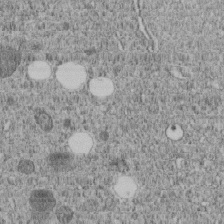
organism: C. elegans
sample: C. elegans embryo early stage